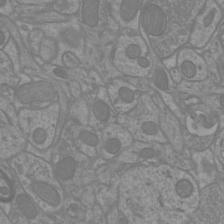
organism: Mouse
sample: Cortical neurons